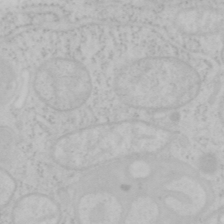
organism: Mouse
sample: OT-I killer T cells with ID8 ovarian cancer cells